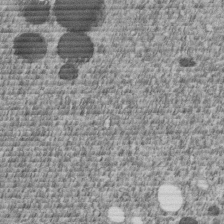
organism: C. elegans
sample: C. elegans embryo early stage